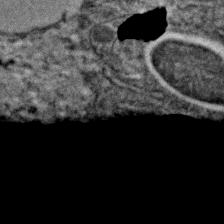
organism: C. elegans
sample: C. elegans embryo